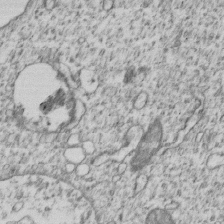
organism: Human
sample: MDA-MB-231 cells